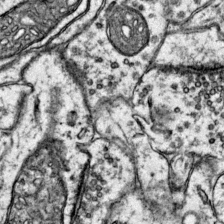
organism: Mouse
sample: Primary visual cortex